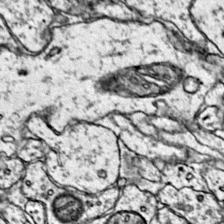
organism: Mouse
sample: Primary visual cortex